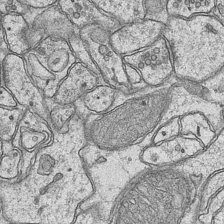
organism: Mouse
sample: CA1 Hippocampus